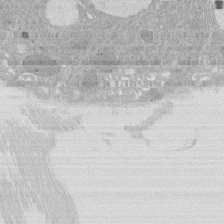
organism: Rat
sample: Salivary granule